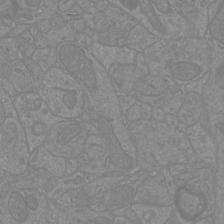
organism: Mouse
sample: Cortical neurons